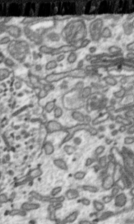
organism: Toxoplasma gondii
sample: Parasites in a vacuole inside a host cell